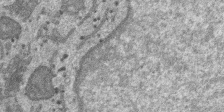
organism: Human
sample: Lung epithelial cells infected with SARS-CoV-2